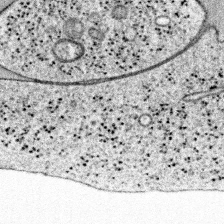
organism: Human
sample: HeLa cells